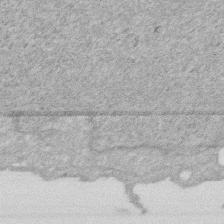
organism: Human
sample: HIV infected U937 cells